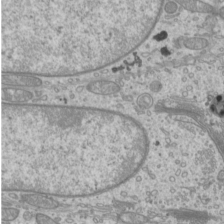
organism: Mouse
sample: Cilia; mouse epididymis